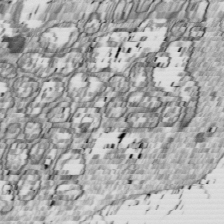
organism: Drosophila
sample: Cell division; meiosis; drosophila spermatocytes